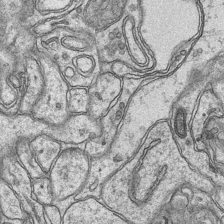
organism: Mouse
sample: CA1 Hippocampus